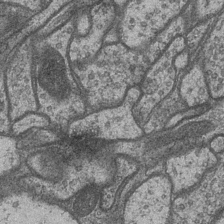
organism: Drosophila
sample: Optic medulla